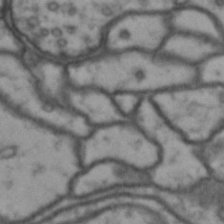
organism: Drosophila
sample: Brain